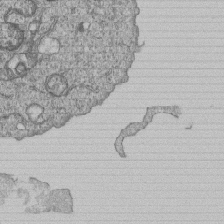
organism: Human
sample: MDA-MB-231 cells